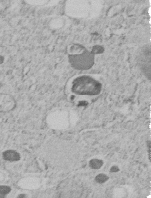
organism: C. elegans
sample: C. elegans embryo early stage